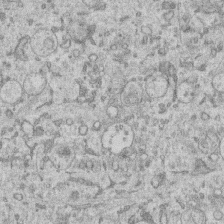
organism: Human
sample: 1205lu cells